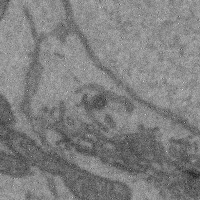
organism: Mouse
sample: Cerebral cortex